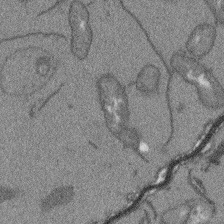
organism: Arabidopsis thaliana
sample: Root tip